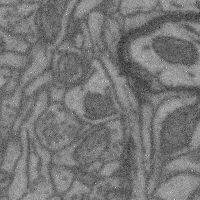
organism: Mouse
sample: Cerebral cortex